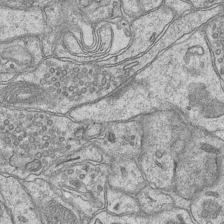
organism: Mouse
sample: CA1 Hippocampus